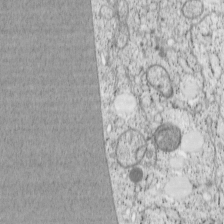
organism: African green monkey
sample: COS-7 cells